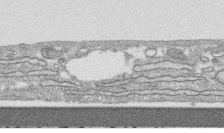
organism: Human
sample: CRL-1474